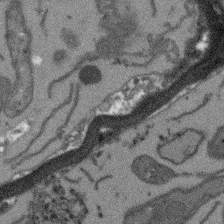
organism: Arabidopsis thaliana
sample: Root tip